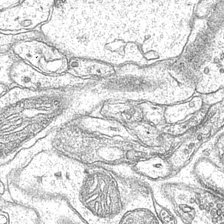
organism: Mouse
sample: CA1 Hippocampus